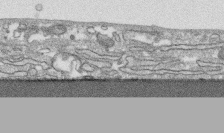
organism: Human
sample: CRL-1474